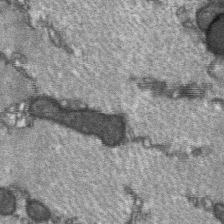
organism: C57BL Mouse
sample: Soleus